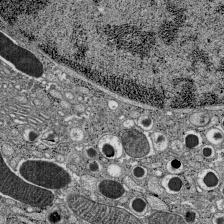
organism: C57BL Mouse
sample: Pancreatic islet